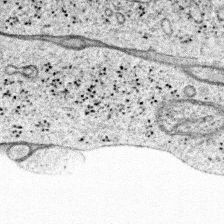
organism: Human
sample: HeLa cells